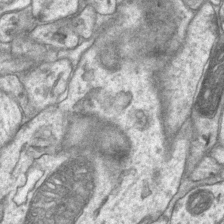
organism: Mouse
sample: CA1 Hippocampus